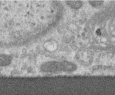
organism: Human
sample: Centriole in RPE cells